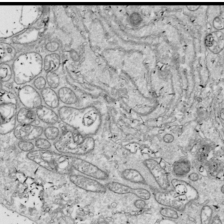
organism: Drosophila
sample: Cell division; meiosis; drosophila spermatocytes